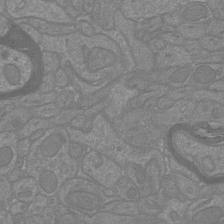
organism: Mouse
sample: Cortical neurons